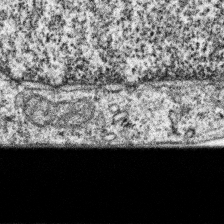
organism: Human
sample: HeLa cells